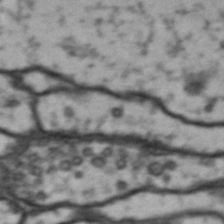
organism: Drosophila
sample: Brain